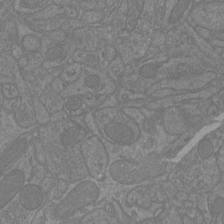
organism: Mouse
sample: Cortical neurons